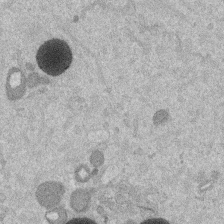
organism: Mouse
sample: Dividing mouse embryo 1 cell stage